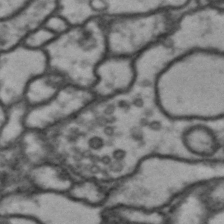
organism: Drosophila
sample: Brain